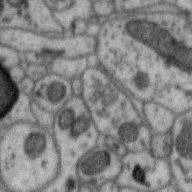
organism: Zebra finch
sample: Brain